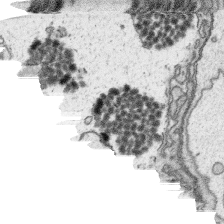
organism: Platynereis dumerilii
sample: Parapodia